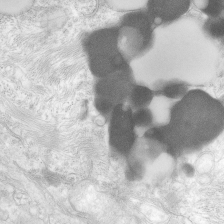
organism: Human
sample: Neocortex